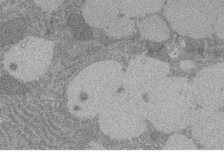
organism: Rat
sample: Salivary granule